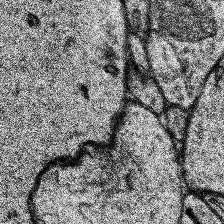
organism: Human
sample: Temporal Lobe